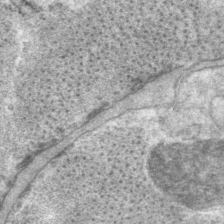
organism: P. pacificus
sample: Pharynx